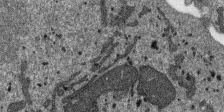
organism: Human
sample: Lung epithelial cells infected with SARS-CoV-2